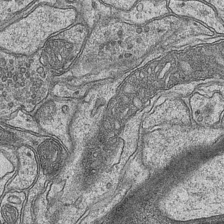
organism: Mouse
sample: CA1 Hippocampus